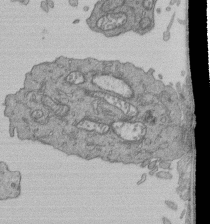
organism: Human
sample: Retinal organoid Rod and Cone cells